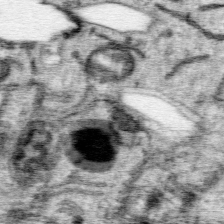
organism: Human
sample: HeLa cells